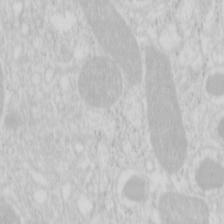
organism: Mouse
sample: Pancreas